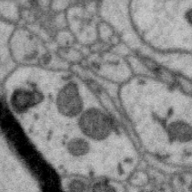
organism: Zebra finch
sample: Brain